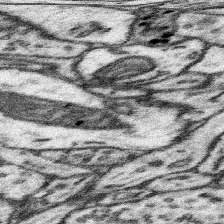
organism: Mouse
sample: Somatosensory cortex neuropil